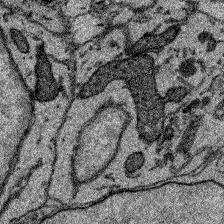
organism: Zebrafish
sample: Larval olfactory bulb